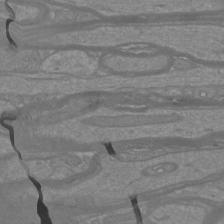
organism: Mouse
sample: Cortical neurons